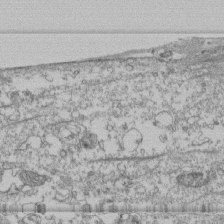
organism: Human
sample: Fibroblast cells